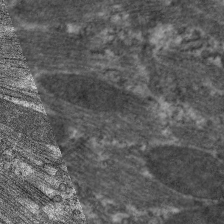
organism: C. elegans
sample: Pharynx